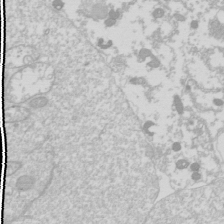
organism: Drosophila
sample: Cell division; meiosis; drosophila spermatocytes